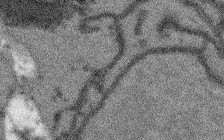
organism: Arabidopsis thaliana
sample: Root tip